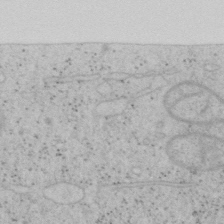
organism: Human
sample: HeLa cells